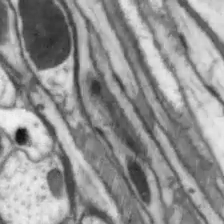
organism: Drosophila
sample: Optic lobe